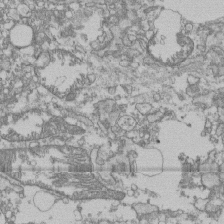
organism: Human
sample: Fibroblast cells